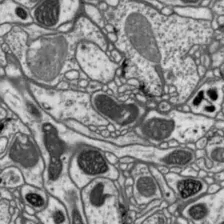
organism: Drosophila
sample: Protocerebral bridge